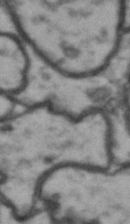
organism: Drosophila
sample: Brain